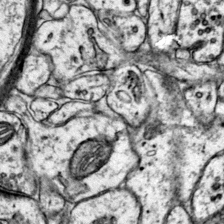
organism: Mouse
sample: Primary visual cortex